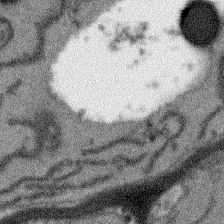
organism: Arabidopsis thaliana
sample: Root tip